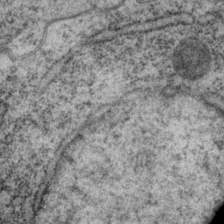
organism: P. pacificus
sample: Pharynx